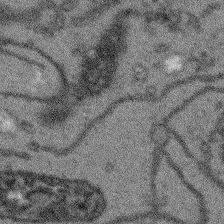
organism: Arabidopsis thaliana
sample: Root tip